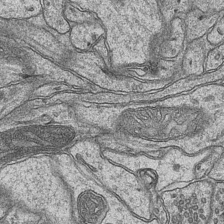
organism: Mouse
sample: CA1 Hippocampus